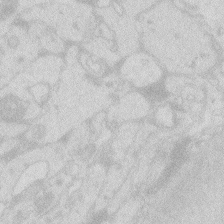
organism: Zebrafish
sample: Macrophage